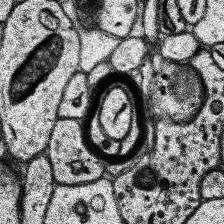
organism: Human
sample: Temporal Lobe